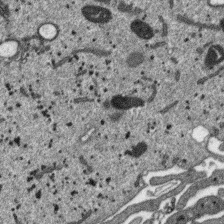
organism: Human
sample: Lung epithelial cells infected with SARS-CoV-2